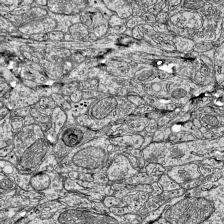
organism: Mouse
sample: Visual Cortex